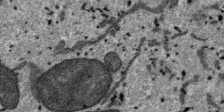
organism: Human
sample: Lung epithelial cells, uninfected (mock) control